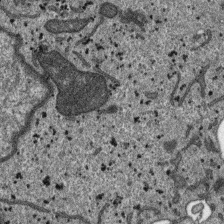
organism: Human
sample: Lung epithelial cells infected with SARS-CoV-2